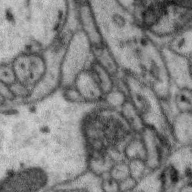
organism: Zebra finch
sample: Brain